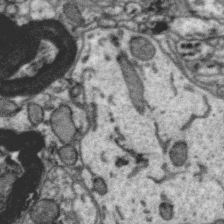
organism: Zebra finch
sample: Brain